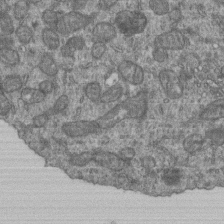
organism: Human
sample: Retinal organoid Rod and Cone cells